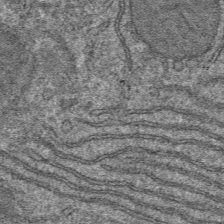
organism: Mouse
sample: Mouse hepatocytes